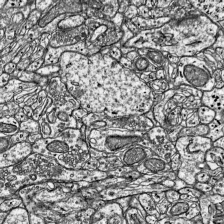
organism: Mouse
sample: Visual Cortex